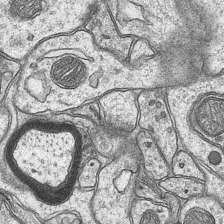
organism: Mouse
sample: CA1 Hippocampus